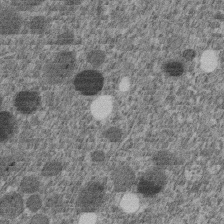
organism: C. elegans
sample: C. elegans embryo early stage